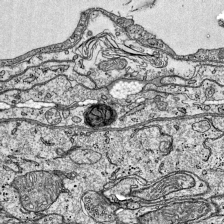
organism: Mouse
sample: Visual Cortex